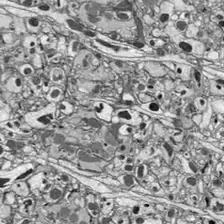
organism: Drosophila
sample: Optic lobe